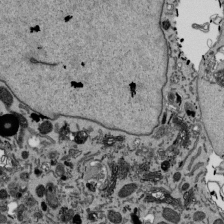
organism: Mouse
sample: ED-1 cell nuclei; centrioles